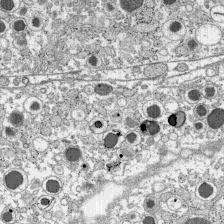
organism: C57BL Mouse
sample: Pancreatic islet